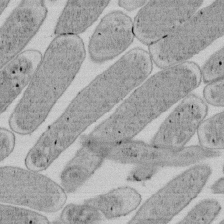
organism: E. coli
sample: Bacterial nucleoid